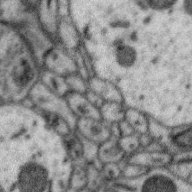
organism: Zebra finch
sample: Brain